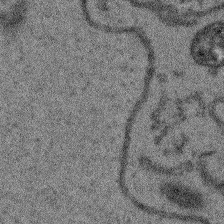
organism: Arabidopsis thaliana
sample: Root tip